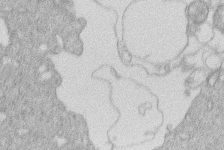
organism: Human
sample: Macrophage cells